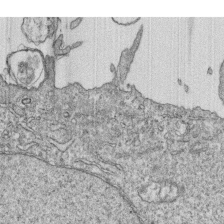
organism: Human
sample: HeLa cell HIV synapse